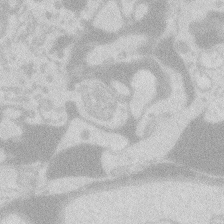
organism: Zebrafish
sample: Macrophage